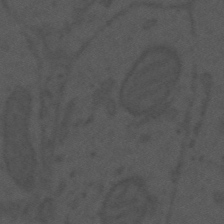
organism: Mouse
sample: Suprachiasmatic nucleus